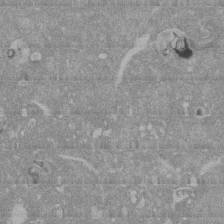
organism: Mouse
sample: ED-1 cell nuclei; centrioles